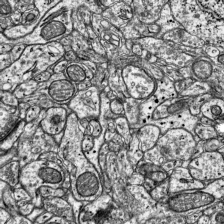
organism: Mouse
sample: Visual Cortex